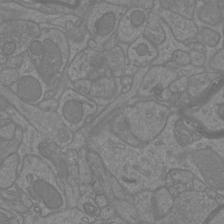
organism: Mouse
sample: Cortical neurons